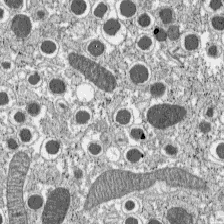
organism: C57BL Mouse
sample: Pancreatic islet